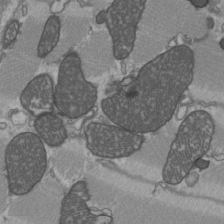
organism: C57BL Mouse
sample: Heart